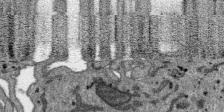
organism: Human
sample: Lung epithelial cells, uninfected (mock) control